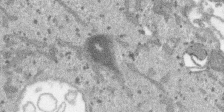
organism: Human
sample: Lung epithelial cells infected with SARS-CoV-2